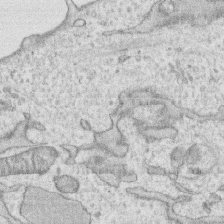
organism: Human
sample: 1205lu cells